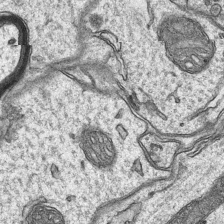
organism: Mouse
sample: CA1 Hippocampus